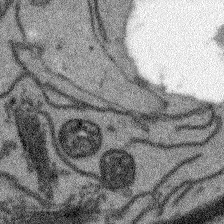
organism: Arabidopsis thaliana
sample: Root tip